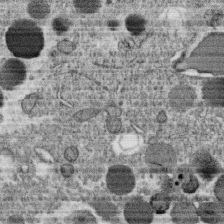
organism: C. elegans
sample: C. elegans oocyte; sperm cells